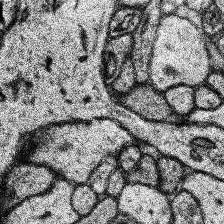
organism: Human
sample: Temporal Lobe